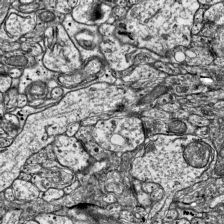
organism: Mouse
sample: Visual Cortex